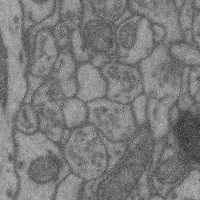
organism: Mouse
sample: Cerebral cortex